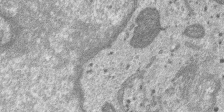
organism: Human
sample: Lung epithelial cells infected with SARS-CoV-2